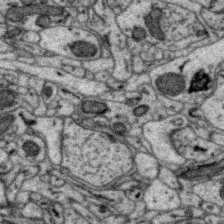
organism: Zebra finch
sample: Brain